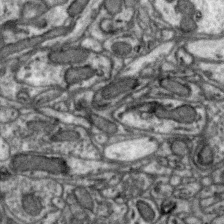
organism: Zebra finch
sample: Brain